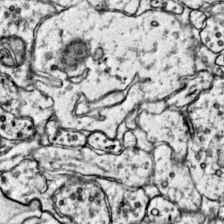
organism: Mouse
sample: Primary visual cortex